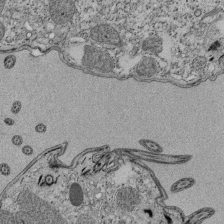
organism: Tetrahymena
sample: Cilia in tetrahymena